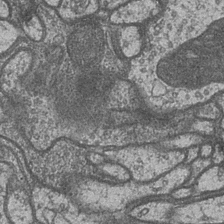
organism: Drosophila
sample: Optic medulla